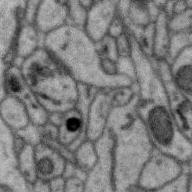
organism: Zebra finch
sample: Brain